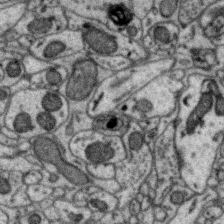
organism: Zebra finch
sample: Brain